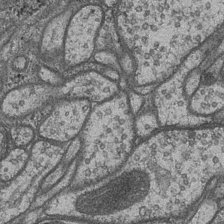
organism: Drosophila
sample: Optic medulla